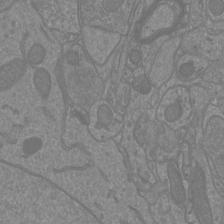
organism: Mouse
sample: Cortical neurons